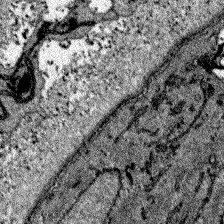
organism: Zebrafish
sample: Larval olfactory bulb